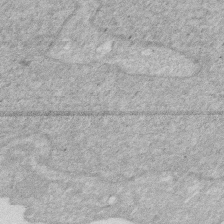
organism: Human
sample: HIV infected U937 cells